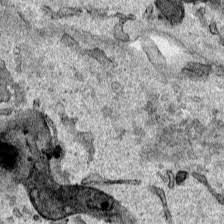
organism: Human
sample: Mitochondria in HCT116 cells